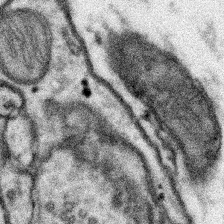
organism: Mouse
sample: Somatosensory cortex neuropil